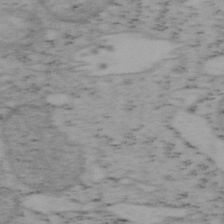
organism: Mouse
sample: OT-I killer T cells with ID8 ovarian cancer cells